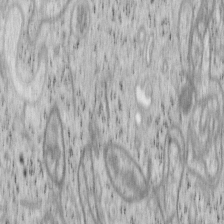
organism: Human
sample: HeLa cells